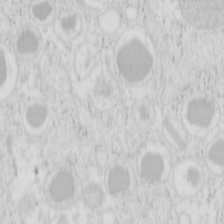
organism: Mouse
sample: Pancreas